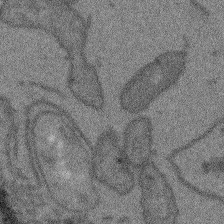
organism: Arabidopsis thaliana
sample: Root tip